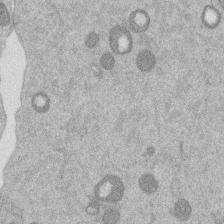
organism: Mouse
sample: Dividing mouse embryo 1 cell stage